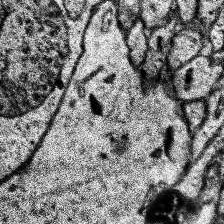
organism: Human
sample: Temporal Lobe